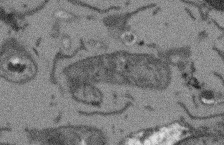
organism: Arabidopsis thaliana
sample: Root tip